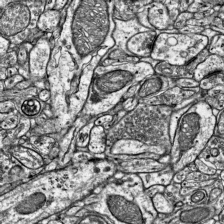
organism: Mouse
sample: Visual Cortex